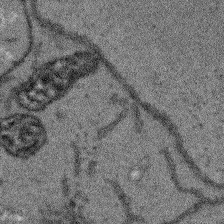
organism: Arabidopsis thaliana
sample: Root tip